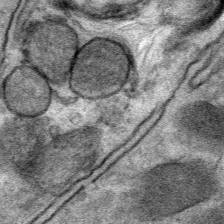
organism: Mouse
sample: Mouse Salivary gland